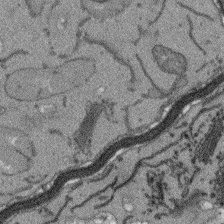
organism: Arabidopsis thaliana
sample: Root tip